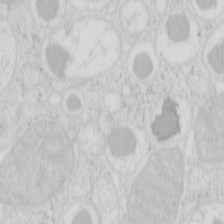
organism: Mouse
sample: Pancreas